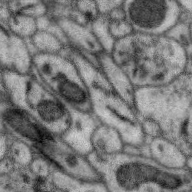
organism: Zebra finch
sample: Brain